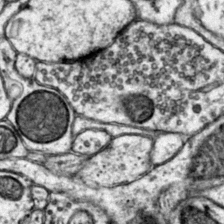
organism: Mouse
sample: Primary visual cortex